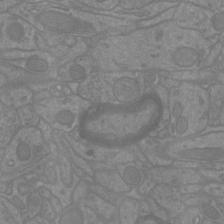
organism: Mouse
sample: Cortical neurons